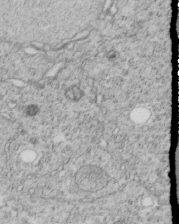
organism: C. elegans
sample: C. elegans embryo early stage